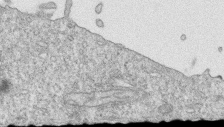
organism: Human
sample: HeLa cell HIV synapse